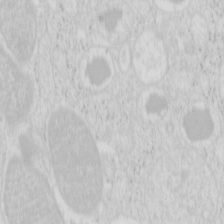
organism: Mouse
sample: Pancreas